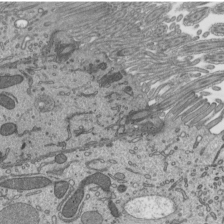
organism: Mouse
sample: Mouse epididymis efferent ductule cilia